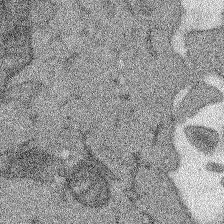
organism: Human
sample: HeLa cells